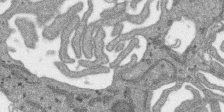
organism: Human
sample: Lung epithelial cells infected with SARS-CoV-2